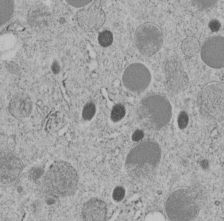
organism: C. elegans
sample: C. elegans embryo early stage